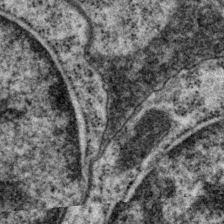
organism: P. pacificus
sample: Pharynx